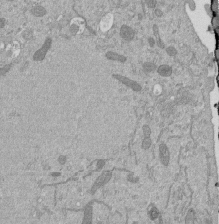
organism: Mouse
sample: ED-1 cell nuclei; centrioles